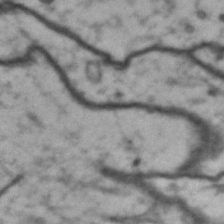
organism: Drosophila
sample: Brain